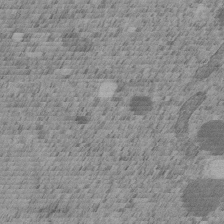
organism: C. elegans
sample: C. elegans embryo early stage